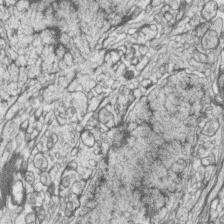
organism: Zebrafish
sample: synaptic ribbons in rod cells and cone cells